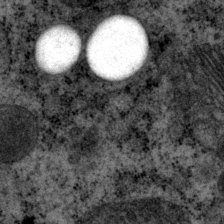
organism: P. pacificus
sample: Pharynx